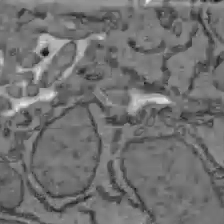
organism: C57BL Mouse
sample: Liver